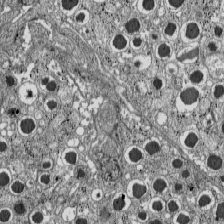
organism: C57BL Mouse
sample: Pancreatic islet